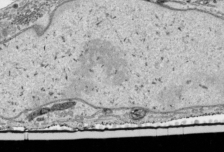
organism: Human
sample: Mitochondria in HCT116 cells